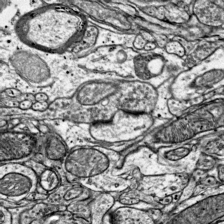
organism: Mouse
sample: Visual Cortex